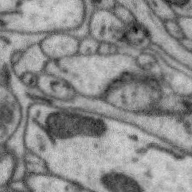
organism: Zebra finch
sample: Brain